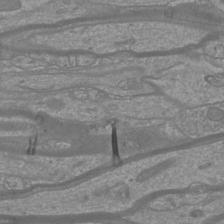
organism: Mouse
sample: Cortical neurons